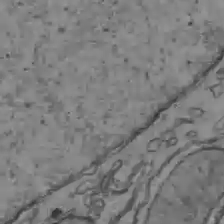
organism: C57BL Mouse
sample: Liver